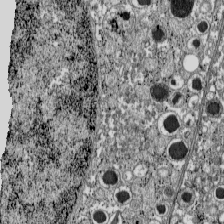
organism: C57BL Mouse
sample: Pancreatic islet